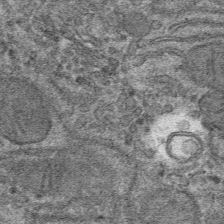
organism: Mouse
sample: Mouse hepatocytes